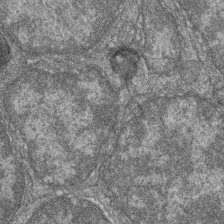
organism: Zebrafish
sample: Cilia; retinal pigment epithelium